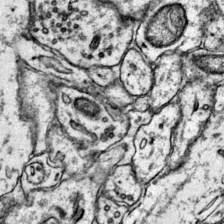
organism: Mouse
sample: Primary visual cortex